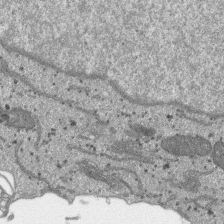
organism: Human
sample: Lung epithelial cells infected with SARS-CoV-2